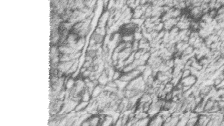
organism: Zebrafish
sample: synaptic ribbons in rod cells and cone cells